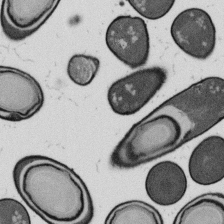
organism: B. subtilis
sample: Bacterial spore